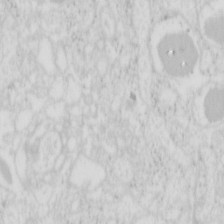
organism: Mouse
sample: Pancreas